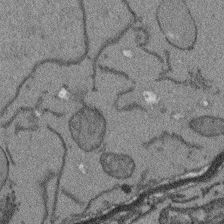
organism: Arabidopsis thaliana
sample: Root tip